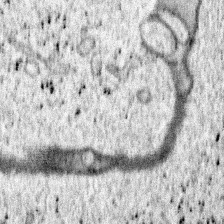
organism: Human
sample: HeLa cells